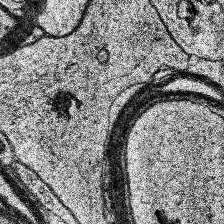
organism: Human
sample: Temporal Lobe